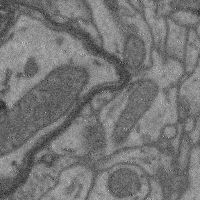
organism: Mouse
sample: Cerebral cortex